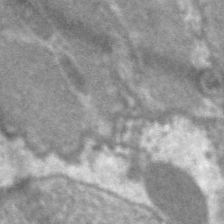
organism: C. elegans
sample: Pharynx